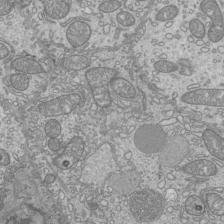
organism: Mouse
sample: Cilia; mouse epididymis